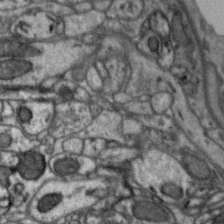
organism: Zebra finch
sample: Brain